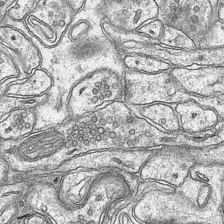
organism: Mouse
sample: CA1 Hippocampus